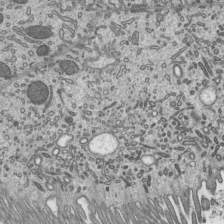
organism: Mouse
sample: Mouse epididymis efferent ductule cilia